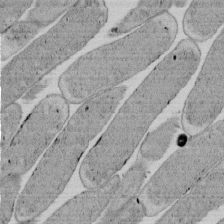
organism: E. coli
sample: Bacterial nucleoid